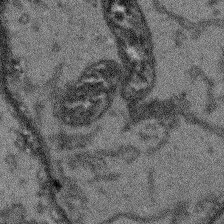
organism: Arabidopsis thaliana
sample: Root tip